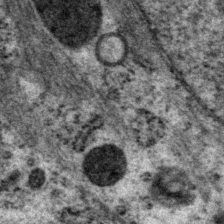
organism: P. pacificus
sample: Pharynx